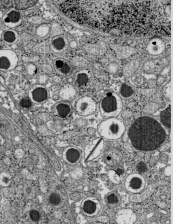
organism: C57BL Mouse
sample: Pancreatic islet